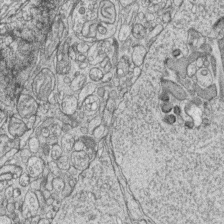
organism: Zebrafish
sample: synaptic ribbons in rod cells and cone cells